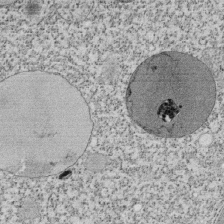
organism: Tetrahymena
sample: Cilia in tetrahymena